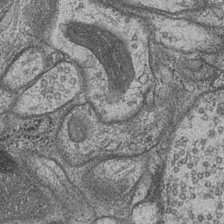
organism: Drosophila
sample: Optic medulla